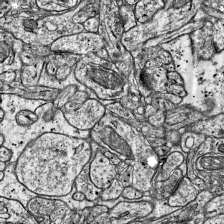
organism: Mouse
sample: Visual Cortex